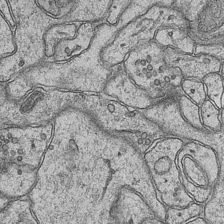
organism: Mouse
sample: CA1 Hippocampus